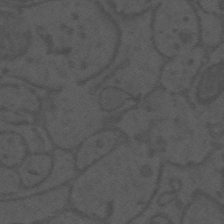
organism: Mouse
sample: Suprachiasmatic nucleus